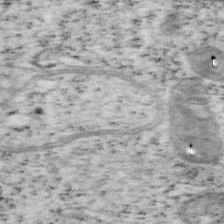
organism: Mouse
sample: OT-I killer T cells with ID8 ovarian cancer cells